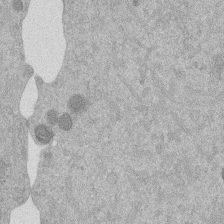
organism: Mouse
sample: Dividing mouse embryo 1 cell stage